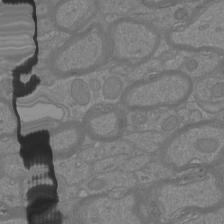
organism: Mouse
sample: Cortical neurons